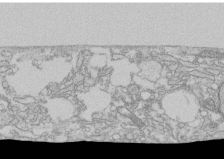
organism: Human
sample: CRL-1474